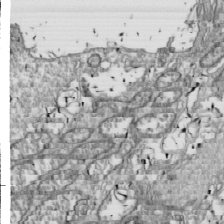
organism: Drosophila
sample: Cell division; meiosis; drosophila spermatocytes